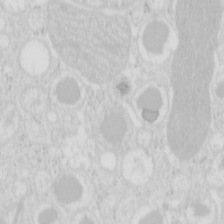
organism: Mouse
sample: Pancreas